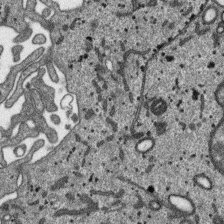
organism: Human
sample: Lung epithelial cells infected with SARS-CoV-2